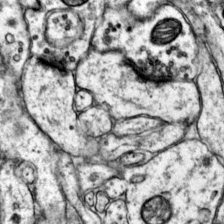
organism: Mouse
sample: Primary visual cortex